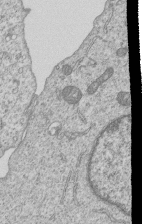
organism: Human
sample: MDA-MB-231 cells